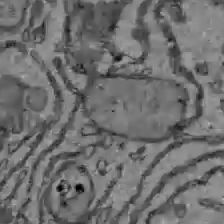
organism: C57BL Mouse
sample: Liver